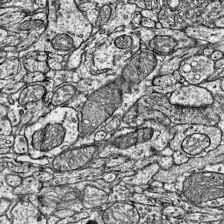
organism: Mouse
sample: Visual Cortex